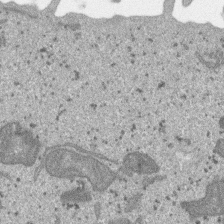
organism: Human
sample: Lung epithelial cells infected with SARS-CoV-2